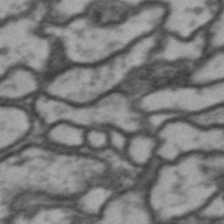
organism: Drosophila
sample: Brain